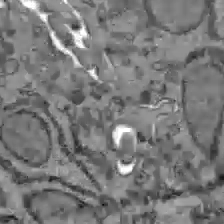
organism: C57BL Mouse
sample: Liver